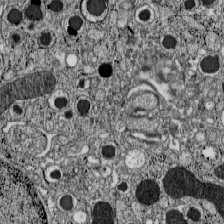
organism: C57BL Mouse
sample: Pancreatic islet